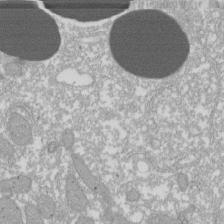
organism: Xenopus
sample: Cilia; centrioles in frog embryo cells